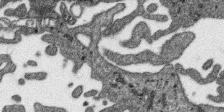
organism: Human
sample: Lung epithelial cells infected with SARS-CoV-2